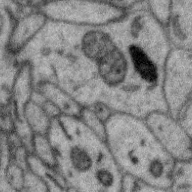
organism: Zebra finch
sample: Brain